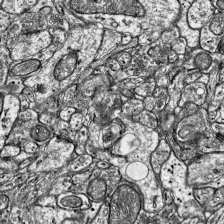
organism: Mouse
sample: Visual Cortex